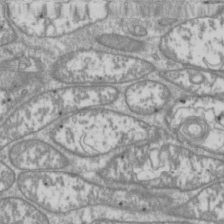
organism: Drosophila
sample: Cell division; meiosis; drosophila spermatocytes